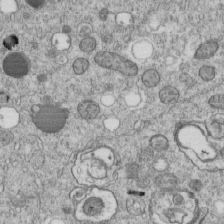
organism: C. elegans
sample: C. elegans embryo early stage